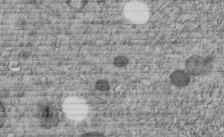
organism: C. elegans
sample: C. elegans embryo early stage